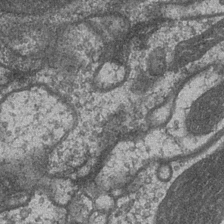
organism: Drosophila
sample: Optic medulla